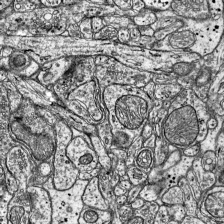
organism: Mouse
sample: Visual Cortex